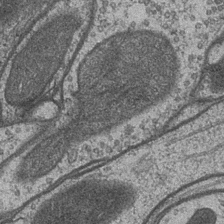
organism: Drosophila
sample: Optic medulla